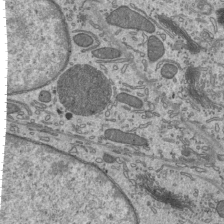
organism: Mouse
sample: Mouse epididymis efferent ductule cilia